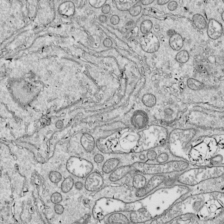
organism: Drosophila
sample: Cell division; meiosis; drosophila spermatocytes